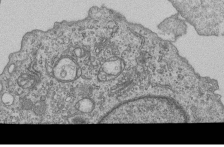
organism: Human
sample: MDA-MB-231 cells